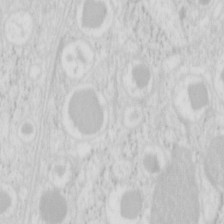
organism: Mouse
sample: Pancreas